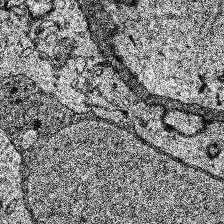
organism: Human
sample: Temporal Lobe